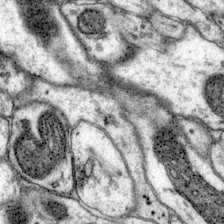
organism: Mouse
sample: Primary visual cortex